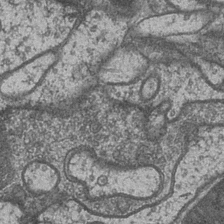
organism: Drosophila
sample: Optic medulla